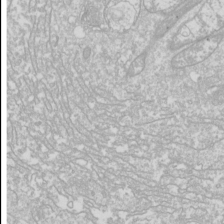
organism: Drosophila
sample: Cell division; meiosis; drosophila spermatocytes